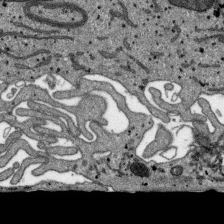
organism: Human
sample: Lung epithelial cells, uninfected (mock) control